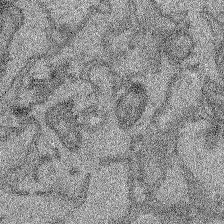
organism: Human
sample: HeLa cells